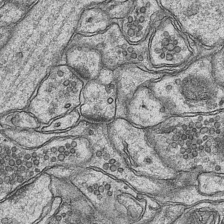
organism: Mouse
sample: CA1 Hippocampus